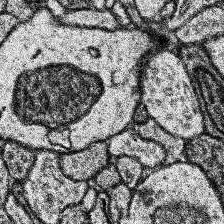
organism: Human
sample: Temporal Lobe